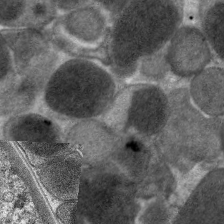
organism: C. elegans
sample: Pharynx